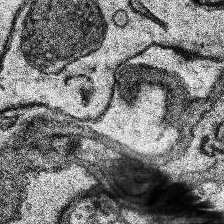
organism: Human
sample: Temporal Lobe